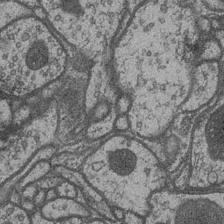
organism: Drosophila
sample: Optic medulla